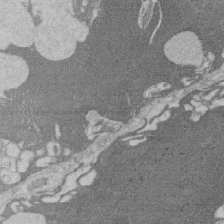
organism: Rat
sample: Salivary granule